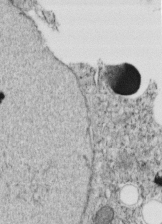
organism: C. elegans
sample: C. elegans embryo early stage